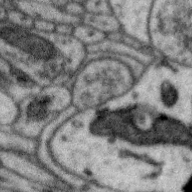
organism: Zebra finch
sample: Brain